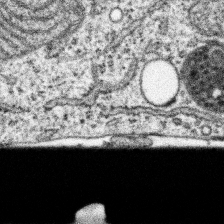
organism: Human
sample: HeLa cells